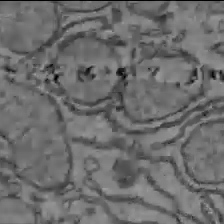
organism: C57BL Mouse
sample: Liver